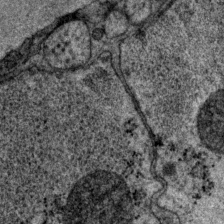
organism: P. pacificus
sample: Pharynx